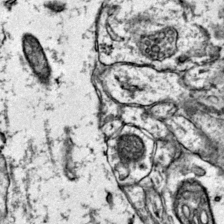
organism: Mouse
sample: Primary visual cortex